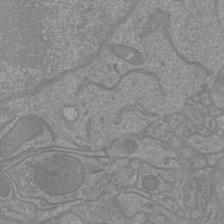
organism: Mouse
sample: Cortical neurons